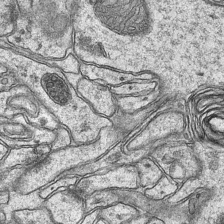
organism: Mouse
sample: CA1 Hippocampus